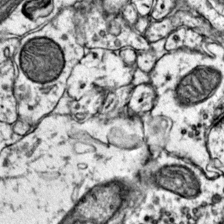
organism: Mouse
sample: Primary visual cortex